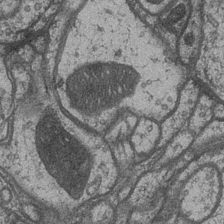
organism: Drosophila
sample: Optic medulla